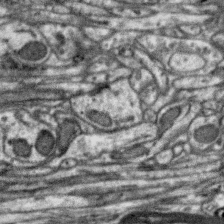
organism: Zebra finch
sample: Brain